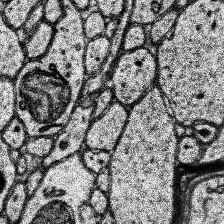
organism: Human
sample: Temporal Lobe